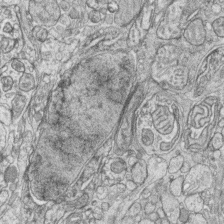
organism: Zebrafish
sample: synaptic ribbons in rod cells and cone cells